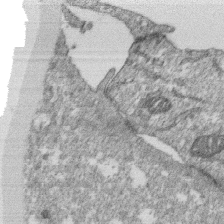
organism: African green monkey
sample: Vero E6 cells infected with SARS-CoV-2